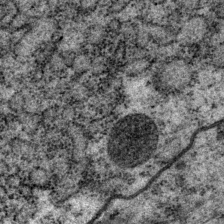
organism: P. pacificus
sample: Pharynx